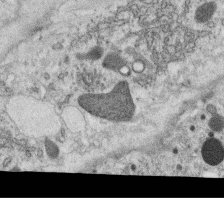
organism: C. elegans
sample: C. elegans oocyte; sperm cells